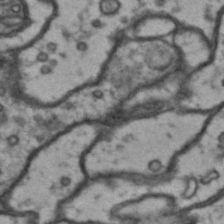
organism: Drosophila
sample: Brain